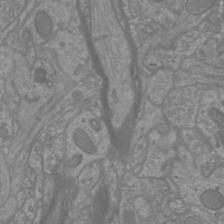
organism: Mouse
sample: Cortical neurons